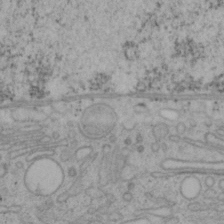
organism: Human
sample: HeLa cells